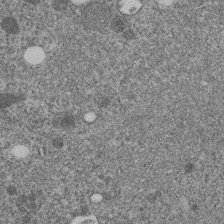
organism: C. elegans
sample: C. elegans embryo early stage